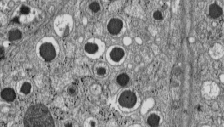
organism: C57BL Mouse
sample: Pancreatic islet